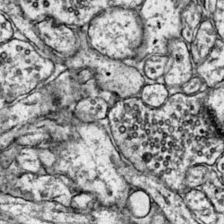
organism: Mouse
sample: Primary visual cortex